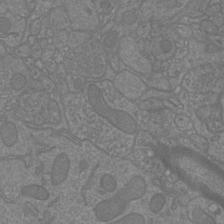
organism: Mouse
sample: Cortical neurons